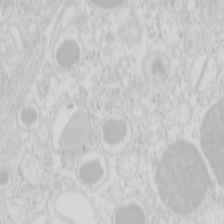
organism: Mouse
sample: Pancreas